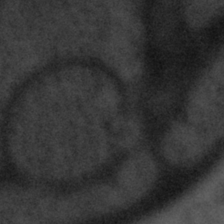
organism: Tuwongella immobilis